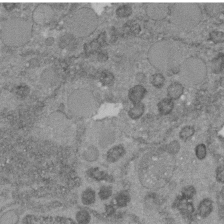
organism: C. elegans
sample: C. elegans embryo early stage